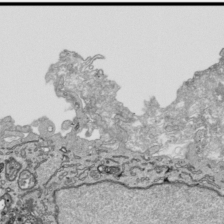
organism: Human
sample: Mitochondria in HCT116 cells